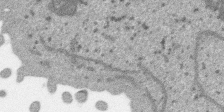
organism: Human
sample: Lung epithelial cells infected with SARS-CoV-2